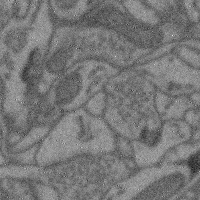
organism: Mouse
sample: Cerebral cortex